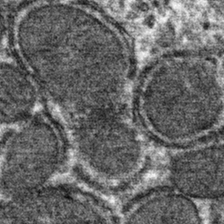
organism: Mouse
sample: Mouse hepatocytes